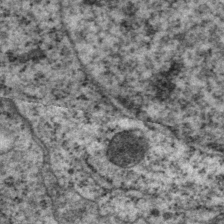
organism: P. pacificus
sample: Pharynx